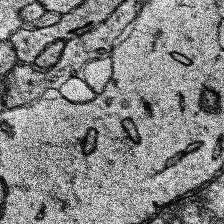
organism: Human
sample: Temporal Lobe